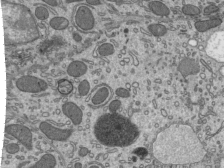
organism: Mouse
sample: Mouse epididymis efferent ductule cilia